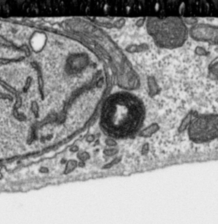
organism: Toxoplasma gondii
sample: Parasites in a vacuole inside a host cell